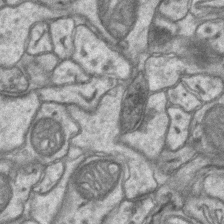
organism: Mouse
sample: CA1 Hippocampus